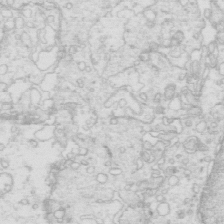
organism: Mouse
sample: Multiciliated cells